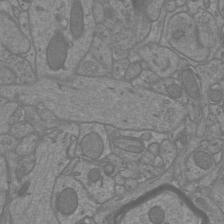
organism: Mouse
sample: Cortical neurons